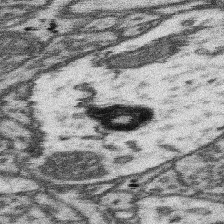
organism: Mouse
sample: Somatosensory cortex neuropil